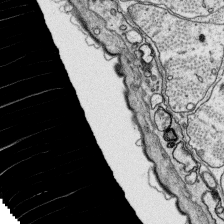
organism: Platynereis dumerilii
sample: Parapodia